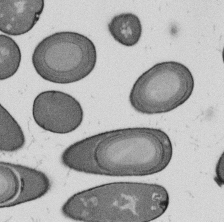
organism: B. subtilis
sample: Bacterial spore